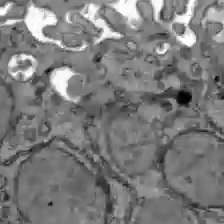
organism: C57BL Mouse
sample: Liver